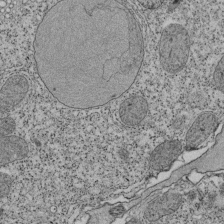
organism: Tetrahymena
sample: Cilia in tetrahymena